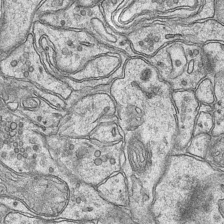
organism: Mouse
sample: CA1 Hippocampus